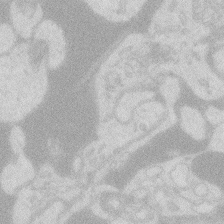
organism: Zebrafish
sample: Macrophage